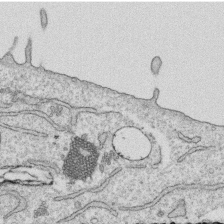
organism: Human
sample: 1205lu cells